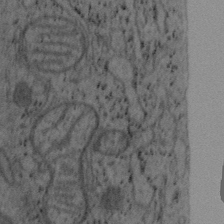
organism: Human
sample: HeLa cells